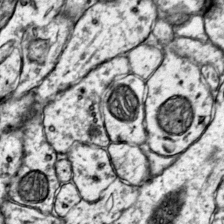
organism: Mouse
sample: Primary visual cortex